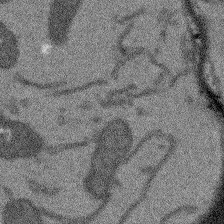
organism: Arabidopsis thaliana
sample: Root tip